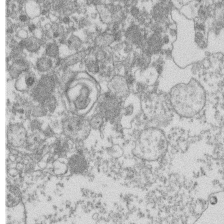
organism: Human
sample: HeLa cell HIV synapse